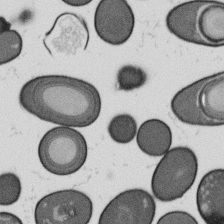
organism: B. subtilis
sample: Bacterial spore